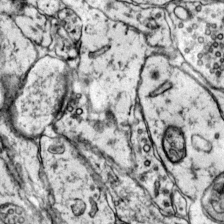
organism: Mouse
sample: Primary visual cortex